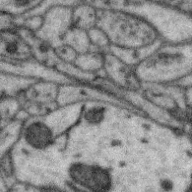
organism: Zebra finch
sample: Brain